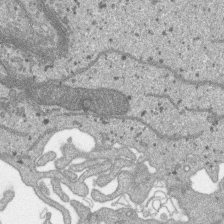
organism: Human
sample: Lung epithelial cells infected with SARS-CoV-2